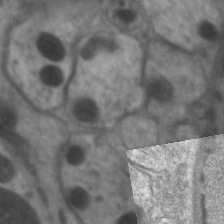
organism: C. elegans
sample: Pharynx